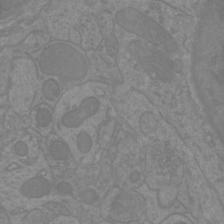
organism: Mouse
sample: Cortical neurons